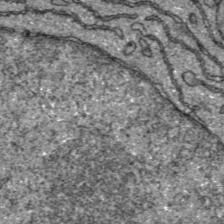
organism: C57BL Mouse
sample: Liver